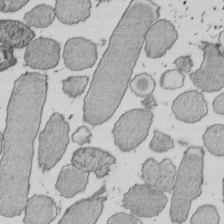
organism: E. coli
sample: Bacterial nucleoid